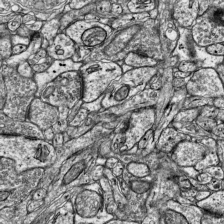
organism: Mouse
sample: Visual Cortex